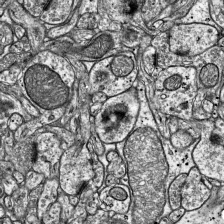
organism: Mouse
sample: Visual Cortex